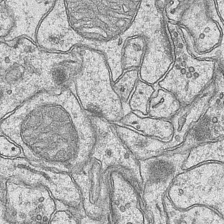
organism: Mouse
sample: CA1 Hippocampus